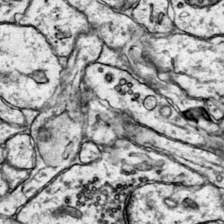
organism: Mouse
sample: Primary visual cortex